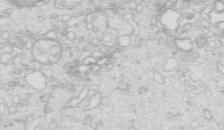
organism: Mouse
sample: Multiciliated cells